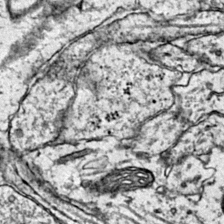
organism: Mouse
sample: Primary visual cortex